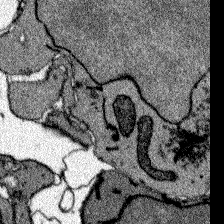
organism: Zebrafish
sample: Larval olfactory bulb